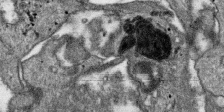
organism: Human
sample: Lung epithelial cells, uninfected (mock) control